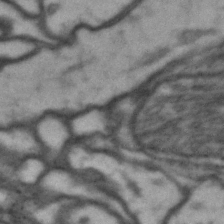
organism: Drosophila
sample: Brain